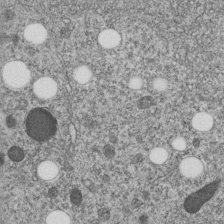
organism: C. elegans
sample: C. elegans embryo early stage